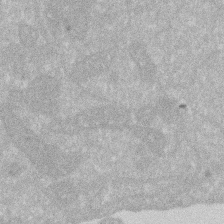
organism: Human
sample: HIV infected U937 cells